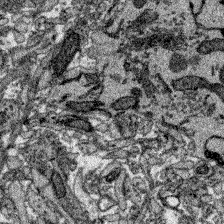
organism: Zebrafish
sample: Larval olfactory bulb